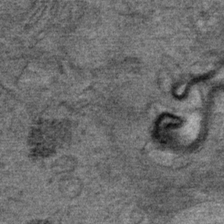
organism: Mouse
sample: Mouse Salivary gland